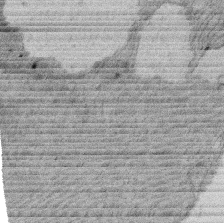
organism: Rat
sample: Salivary granule